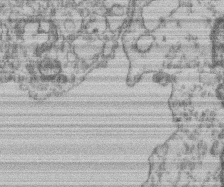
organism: Mouse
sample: T cell stromal cell synapse